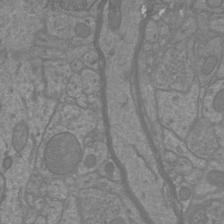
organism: Mouse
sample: Cortical neurons